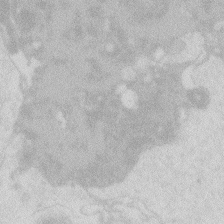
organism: Zebrafish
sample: Macrophage